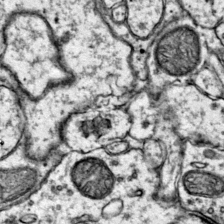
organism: Mouse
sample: Primary visual cortex